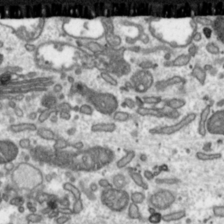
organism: Toxoplasma gondii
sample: Parasites in a vacuole inside a host cell